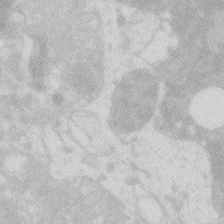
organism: Zebrafish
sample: Macrophage